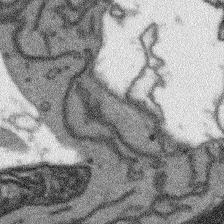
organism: Arabidopsis thaliana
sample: Root tip